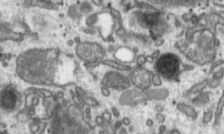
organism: Toxoplasma gondii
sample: Parasites in a vacuole inside a host cell